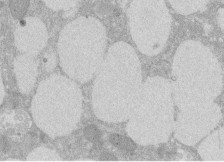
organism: Rat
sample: Salivary granule